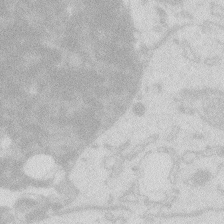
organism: Zebrafish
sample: Macrophage